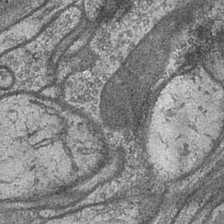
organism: Drosophila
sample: Optic medulla